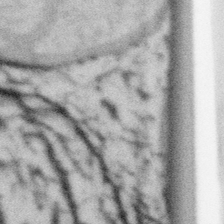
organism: Gemmata obscuriglobus